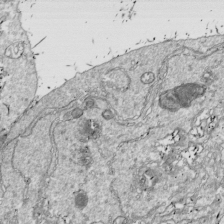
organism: Drosophila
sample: Cell division; meiosis; drosophila spermatocytes